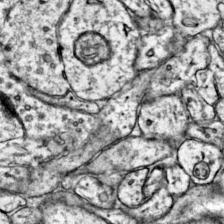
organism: Mouse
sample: Primary visual cortex